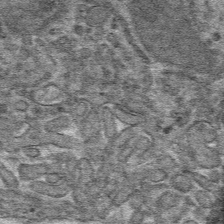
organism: Mouse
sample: Mouse hepatocytes